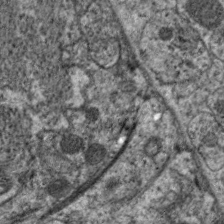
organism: C. elegans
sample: Pharynx